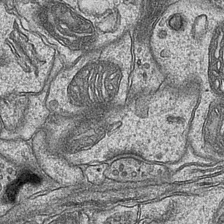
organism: Mouse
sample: CA1 Hippocampus